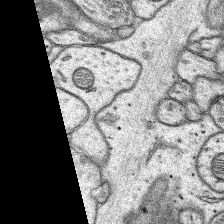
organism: Rat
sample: Hippocampus